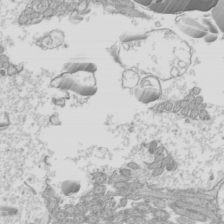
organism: Mouse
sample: Cilia; mouse epididymis